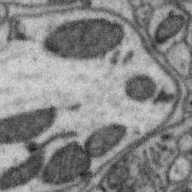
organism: Zebra finch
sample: Brain